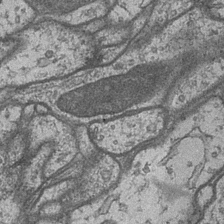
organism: Drosophila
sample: Optic medulla